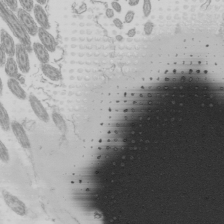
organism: Mouse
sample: Cilia; mouse epididymis